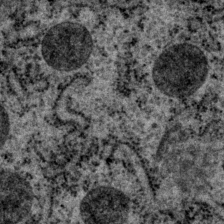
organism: P. pacificus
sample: Pharynx